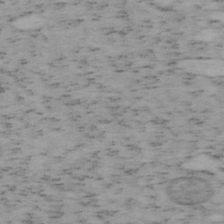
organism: Mouse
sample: OT-I killer T cells with ID8 ovarian cancer cells